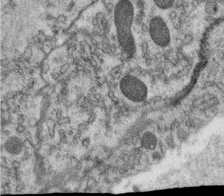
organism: C. elegans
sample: C. elegans oocyte; sperm cells